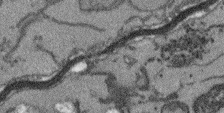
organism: Arabidopsis thaliana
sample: Root tip